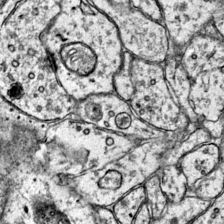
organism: Mouse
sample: Primary visual cortex